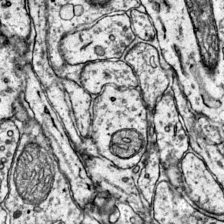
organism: Mouse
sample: Primary visual cortex